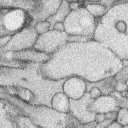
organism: Rabbit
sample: Retina